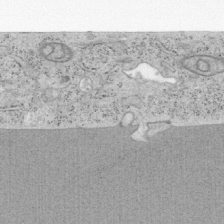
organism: Human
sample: HeLa cells